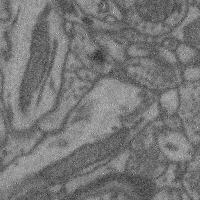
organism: Mouse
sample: Cerebral cortex